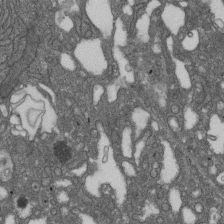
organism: Drosophila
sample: Nephrocyte